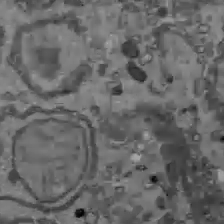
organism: C57BL Mouse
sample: Liver